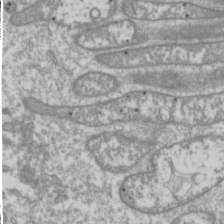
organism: Drosophila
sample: Cell division; meiosis; drosophila spermatocytes